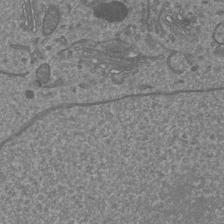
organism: Mouse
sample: Cortical neurons